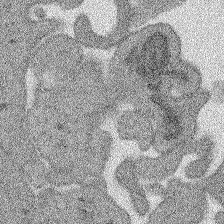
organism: Human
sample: HeLa cells